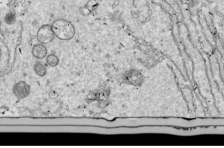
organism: Drosophila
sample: Cell division; meiosis; drosophila spermatocytes